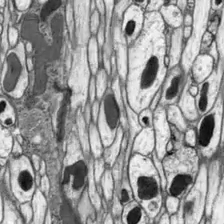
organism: Drosophila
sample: Optic lobe